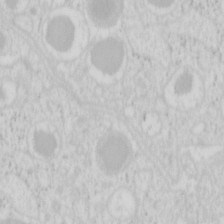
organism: Mouse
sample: Pancreas